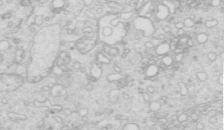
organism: Mouse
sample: Multiciliated cells